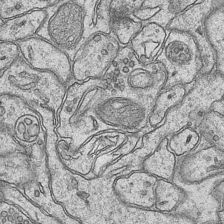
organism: Mouse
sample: CA1 Hippocampus